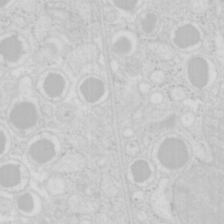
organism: Mouse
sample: Pancreas